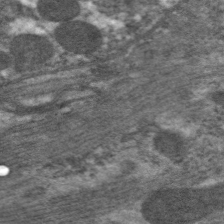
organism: C. elegans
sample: Pharynx